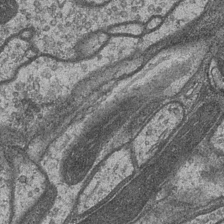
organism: Drosophila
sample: Optic medulla